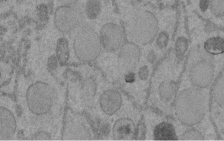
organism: C. elegans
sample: C. elegans embryo early stage